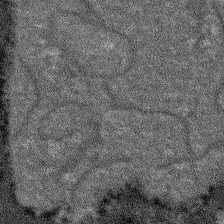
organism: Arabidopsis thaliana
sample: Root tip